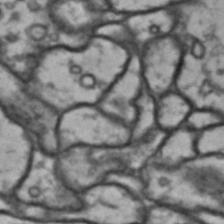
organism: Drosophila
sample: Brain